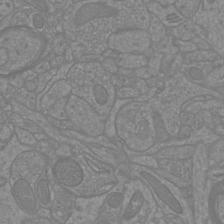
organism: Mouse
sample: Cortical neurons